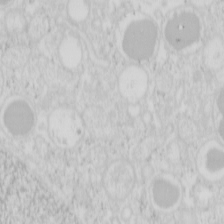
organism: Mouse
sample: Pancreas